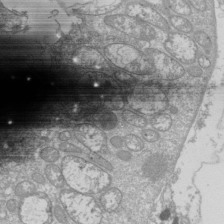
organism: Drosophila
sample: Cell division; meiosis; drosophila spermatocytes